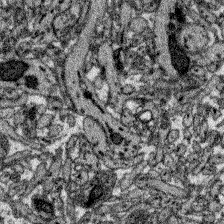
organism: Zebrafish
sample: Larval olfactory bulb